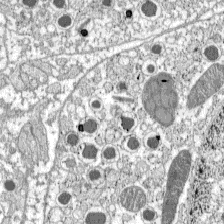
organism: C57BL Mouse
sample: Pancreatic islet